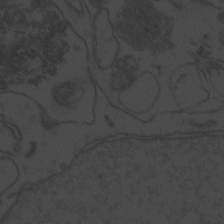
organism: Zebrafish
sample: Macrophage infected with Toxoplasma gondii